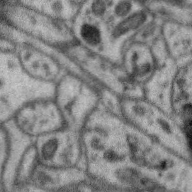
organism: Zebra finch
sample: Brain